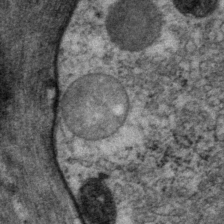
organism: P. pacificus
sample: Pharynx